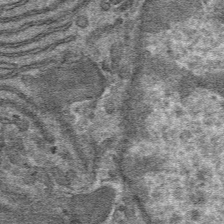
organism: Mouse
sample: Mouse hepatocytes